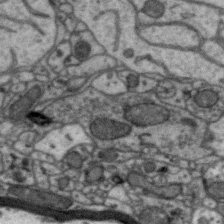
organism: Zebra finch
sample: Brain